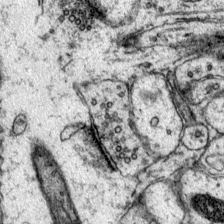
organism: Mouse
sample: Primary visual cortex